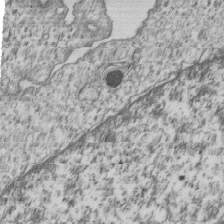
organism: Human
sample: MDA-MB-231 cells